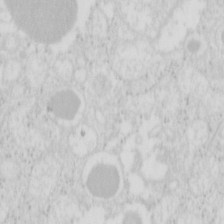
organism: Mouse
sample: Pancreas